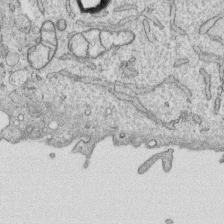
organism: Human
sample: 1205lu cells